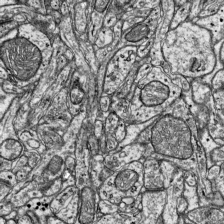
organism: Mouse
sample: Visual Cortex